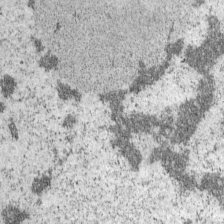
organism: Mouse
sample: OT-I killer T cells with ID8 ovarian cancer cells